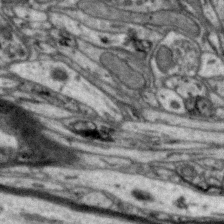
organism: Zebra finch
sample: Brain